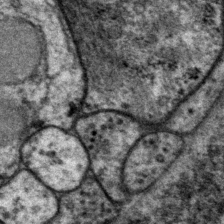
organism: P. pacificus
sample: Pharynx